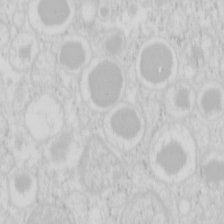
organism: Mouse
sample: Pancreas